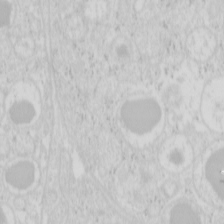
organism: Mouse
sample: Pancreas